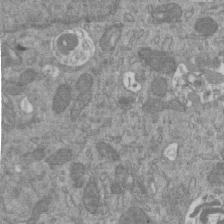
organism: Mouse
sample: ED-1 cell nuclei; centrioles